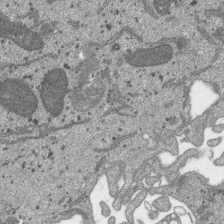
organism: Human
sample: Lung epithelial cells infected with SARS-CoV-2